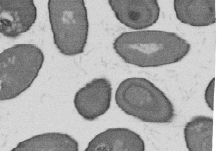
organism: B. subtilis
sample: Bacterial spore